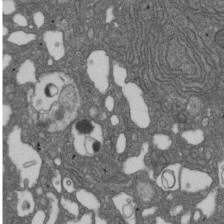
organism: Drosophila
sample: Nephrocyte